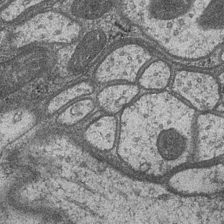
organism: Drosophila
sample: Optic medulla